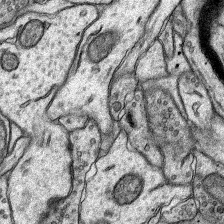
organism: Rat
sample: Hippocampus